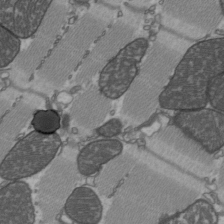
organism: C57BL Mouse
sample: Heart